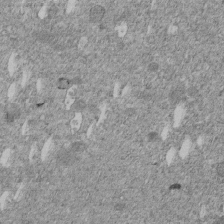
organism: C. elegans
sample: C. elegans embryo early stage